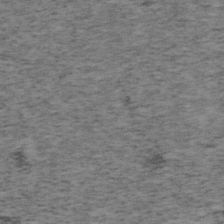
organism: Mouse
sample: OT-I killer T cells with ID8 ovarian cancer cells